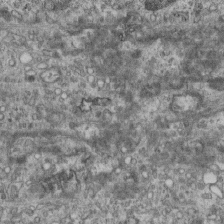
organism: Mouse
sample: Centriole in ependymal cells